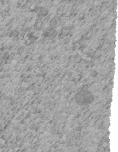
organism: C. elegans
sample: C. elegans embryo early stage